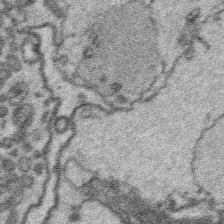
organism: Platynereis dumerilii